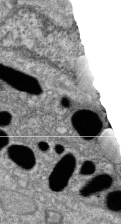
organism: Zebrafish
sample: Cilia; retinal pigment epithelium